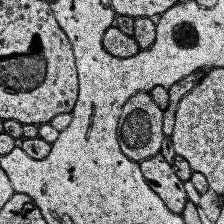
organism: Human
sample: Temporal Lobe